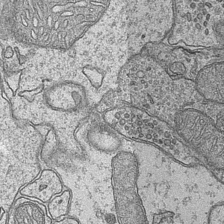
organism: Mouse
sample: CA1 Hippocampus